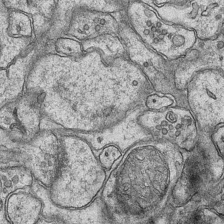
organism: Mouse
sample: CA1 Hippocampus